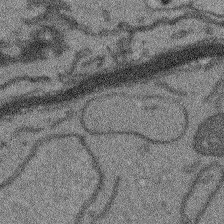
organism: Arabidopsis thaliana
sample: Root tip